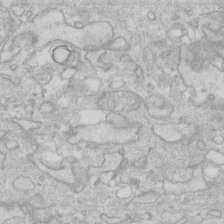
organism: Human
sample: Fibroblast cells